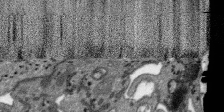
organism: Human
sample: Lung epithelial cells, uninfected (mock) control